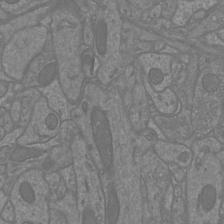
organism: Mouse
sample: Cortical neurons